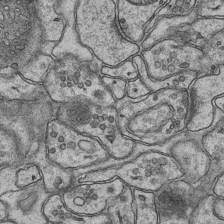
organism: Mouse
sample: CA1 Hippocampus